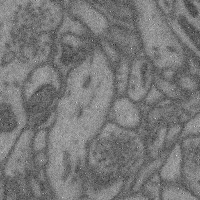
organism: Mouse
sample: Cerebral cortex